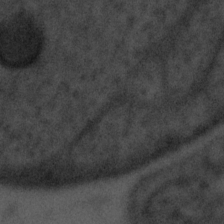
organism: Tuwongella immobilis